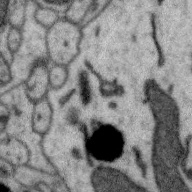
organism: Zebra finch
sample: Brain